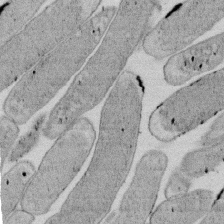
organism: E. coli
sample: Bacterial nucleoid